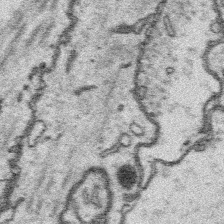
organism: Platynereis dumerilii